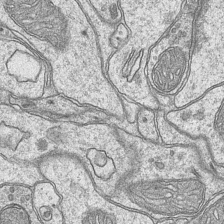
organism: Mouse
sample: CA1 Hippocampus